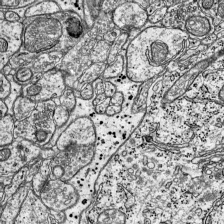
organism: Mouse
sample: Visual Cortex